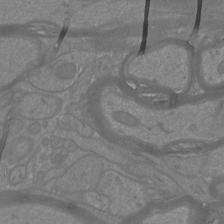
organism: Mouse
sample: Cortical neurons